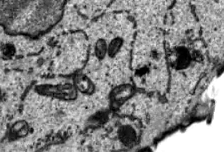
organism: Human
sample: HeLa cells